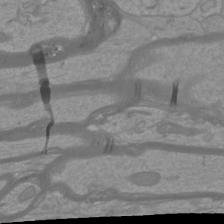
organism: Mouse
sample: Cortical neurons